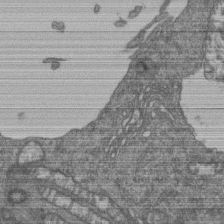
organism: Human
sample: Retinal organoid Rod and Cone cells